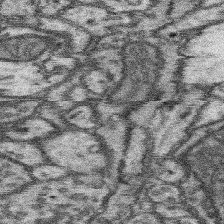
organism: Mouse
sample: Somatosensory cortex neuropil